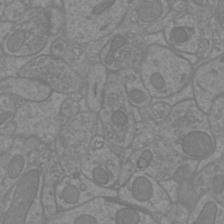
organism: Mouse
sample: Cortical neurons